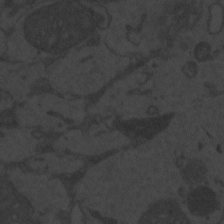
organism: Zebrafish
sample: Macrophage infected with Toxoplasma gondii